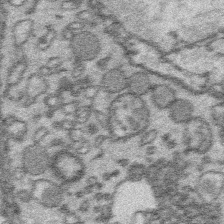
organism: Platynereis dumerilii